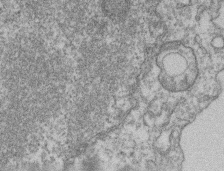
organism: Mouse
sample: T cell stromal cell synapse